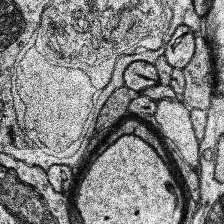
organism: Human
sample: Temporal Lobe